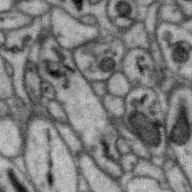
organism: Zebra finch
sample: Brain